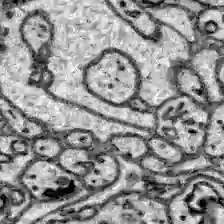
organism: Zebrafish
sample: Brain